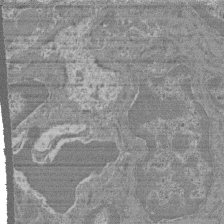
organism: Mouse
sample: Glomerulus